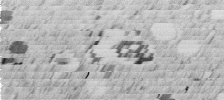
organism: C. elegans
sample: C. elegans embryo early stage